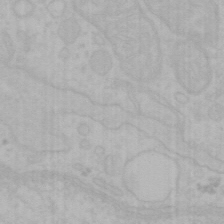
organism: Mouse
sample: Choroid plexus